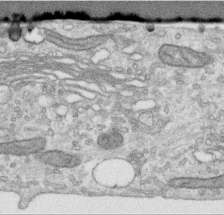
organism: Human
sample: Centriole in RPE cells